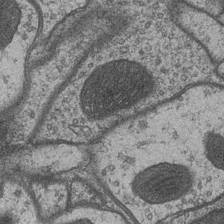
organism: Drosophila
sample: Optic medulla